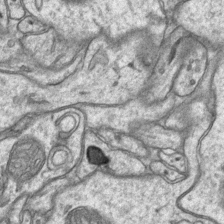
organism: Mouse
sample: CA1 Hippocampus